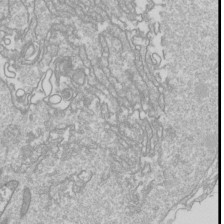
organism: Drosophila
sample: Cell division; meiosis; drosophila spermatocytes